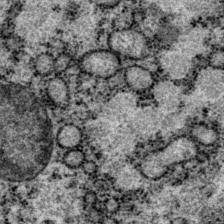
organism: P. pacificus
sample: Pharynx